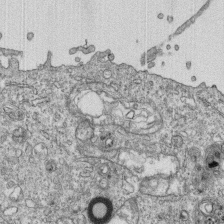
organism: Human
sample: HeLa cell HIV synapse